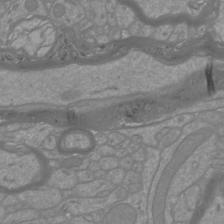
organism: Mouse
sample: Cortical neurons